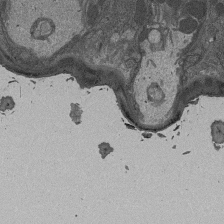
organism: Drosophila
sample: Antenna